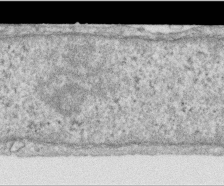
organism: Human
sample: Centriole in RPE cells